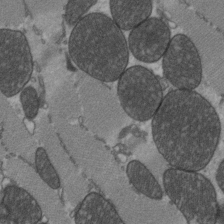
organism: C57BL Mouse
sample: Heart